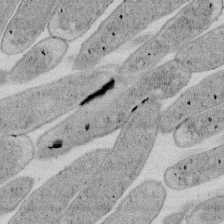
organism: E. coli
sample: Bacterial nucleoid